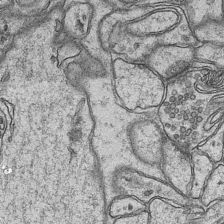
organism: Mouse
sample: CA1 Hippocampus